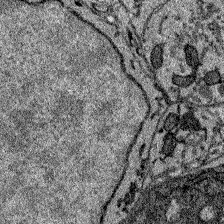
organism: Zebrafish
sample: Larval olfactory bulb